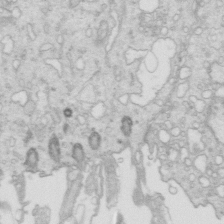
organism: Mouse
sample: Multiciliated cells